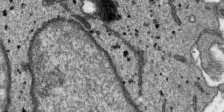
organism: Human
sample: Lung epithelial cells, uninfected (mock) control